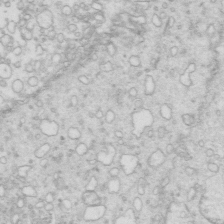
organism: Mouse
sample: Multiciliated cells